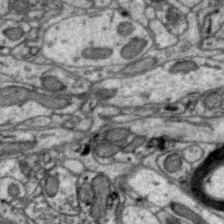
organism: Zebra finch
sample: Brain